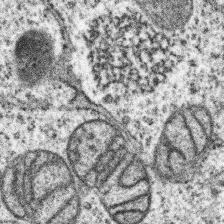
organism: Human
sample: HeLa cells